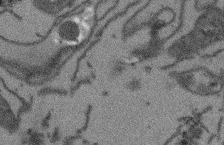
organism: Arabidopsis thaliana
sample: Root tip